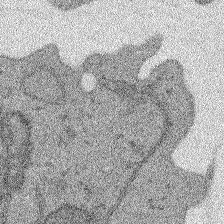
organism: Human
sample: HeLa cells